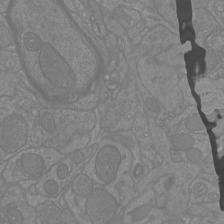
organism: Mouse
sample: Cortical neurons